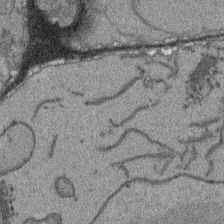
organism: Arabidopsis thaliana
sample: Root tip